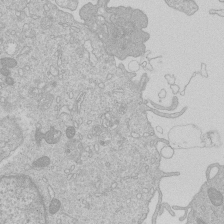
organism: Human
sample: Macrophage cells